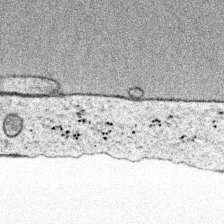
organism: Human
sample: HeLa cells